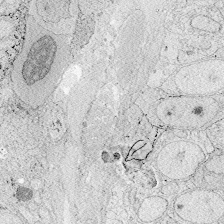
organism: Zebrafish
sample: Whole-Brain